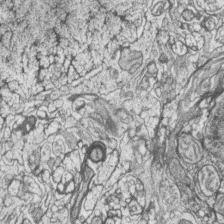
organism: Zebrafish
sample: synaptic ribbons in rod cells and cone cells